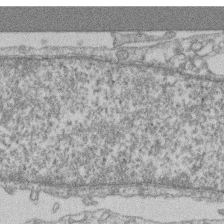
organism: Mouse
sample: T cell stromal cell synapse